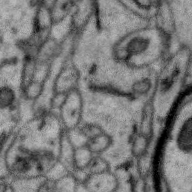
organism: Zebra finch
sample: Brain